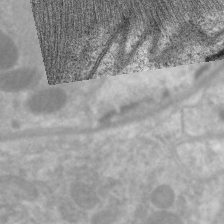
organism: C. elegans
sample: Pharynx